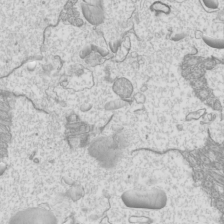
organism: Mouse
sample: Cilia; mouse epididymis